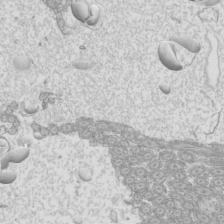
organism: Mouse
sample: Cilia; mouse epididymis